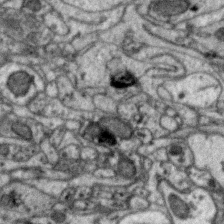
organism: Zebra finch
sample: Brain